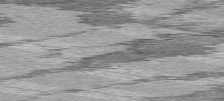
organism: C57BL Mouse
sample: Heart